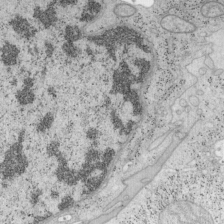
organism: Mouse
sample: OT-I killer T cells with ID8 ovarian cancer cells